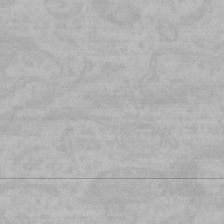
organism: Mouse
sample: Choroid plexus